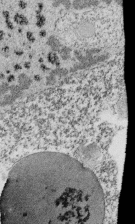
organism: Tetrahymena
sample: Cilia in tetrahymena